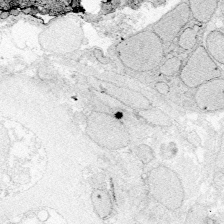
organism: Zebrafish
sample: Whole-Brain